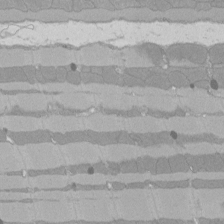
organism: Rat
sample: Left ventricle